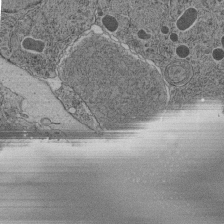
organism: C. elegans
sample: C. elegans pharynx